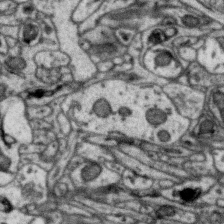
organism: Zebra finch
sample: Brain